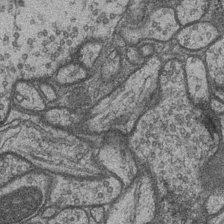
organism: Drosophila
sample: Optic medulla